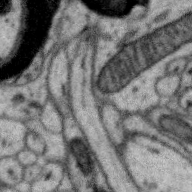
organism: Zebra finch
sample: Brain